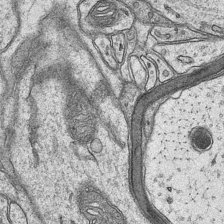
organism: Mouse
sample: CA1 Hippocampus